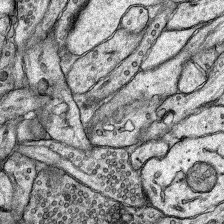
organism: Rat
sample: Hippocampus